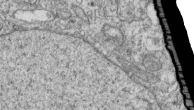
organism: Human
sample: HeLa cell HIV synapse